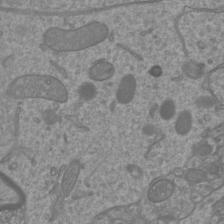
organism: Mouse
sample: Cortical neurons